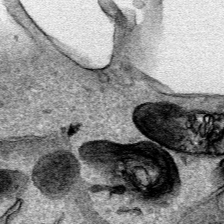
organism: Human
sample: Mitochondria in HCT116 cells